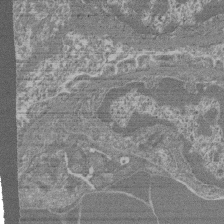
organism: Mouse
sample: Glomerulus